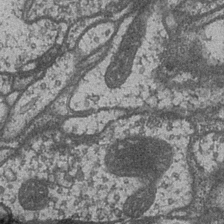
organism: Drosophila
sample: Optic medulla